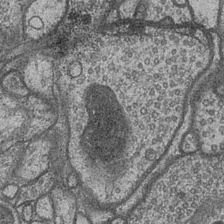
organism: Drosophila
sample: Optic medulla